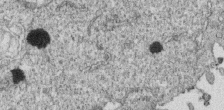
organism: Human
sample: HeLa cell HIV synapse